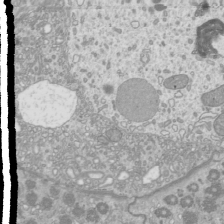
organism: Mouse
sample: Cilia; mouse epididymis